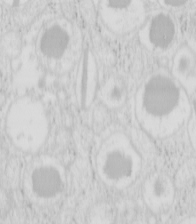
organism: Mouse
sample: Pancreas